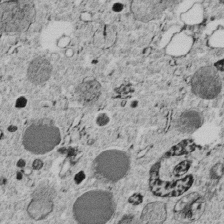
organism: C. elegans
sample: C. elegans embryo early stage